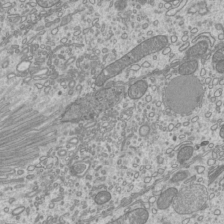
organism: Mouse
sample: Cilia; mouse epididymis